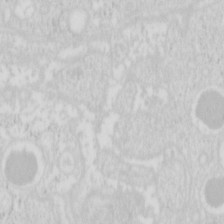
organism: Mouse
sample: Pancreas